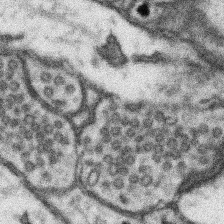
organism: Mouse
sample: Somatosensory cortex neuropil